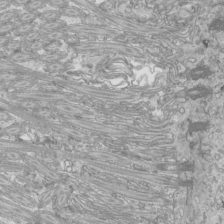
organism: Mouse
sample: Cilia; mouse epididymis